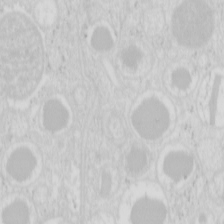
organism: Mouse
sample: Pancreas